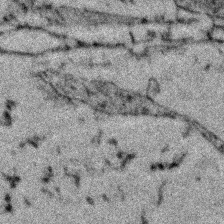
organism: Zebrafish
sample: Zebrafish embryo